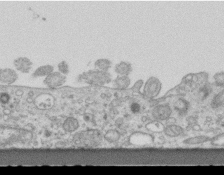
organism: Mouse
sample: Centriole in ependymal cells